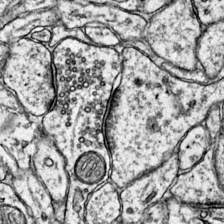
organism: Mouse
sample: Primary visual cortex